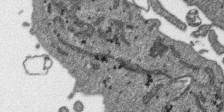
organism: Human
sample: Lung epithelial cells infected with SARS-CoV-2